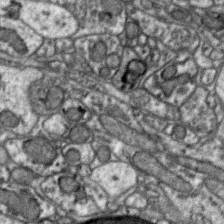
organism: Zebra finch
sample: Brain